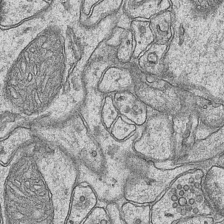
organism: Mouse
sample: CA1 Hippocampus